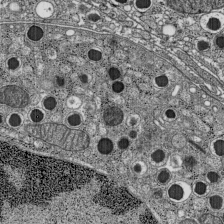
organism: C57BL Mouse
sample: Pancreatic islet